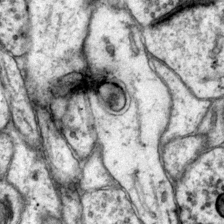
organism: Mouse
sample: Primary visual cortex